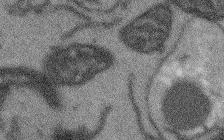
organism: Arabidopsis thaliana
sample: Root tip